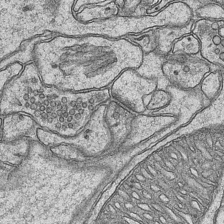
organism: Mouse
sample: CA1 Hippocampus